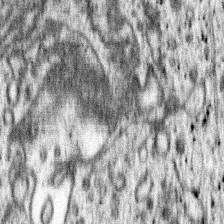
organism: Human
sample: HeLa cells